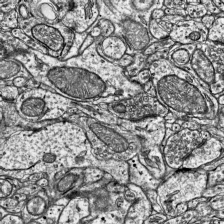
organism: Mouse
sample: Visual Cortex